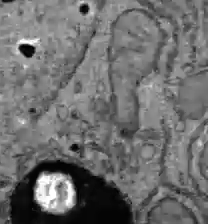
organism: C57BL Mouse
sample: Liver